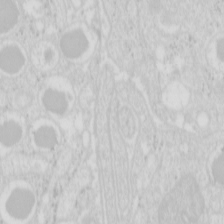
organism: Mouse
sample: Pancreas